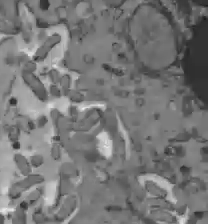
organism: C57BL Mouse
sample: Liver